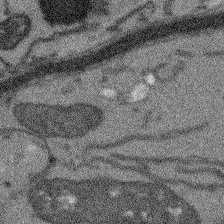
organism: Arabidopsis thaliana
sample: Root tip